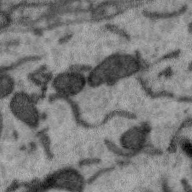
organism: Zebra finch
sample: Brain